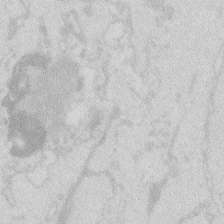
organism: Zebrafish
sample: Macrophage